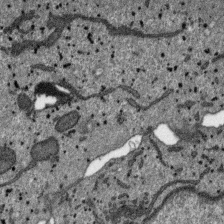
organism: Human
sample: Lung epithelial cells, uninfected (mock) control